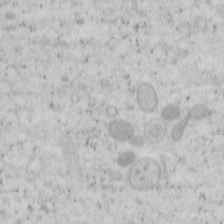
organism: Human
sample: HeLa cells